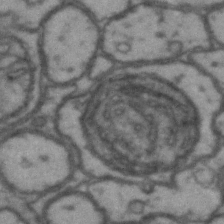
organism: Drosophila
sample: Brain